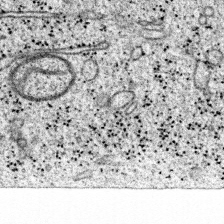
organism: Human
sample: HeLa cells